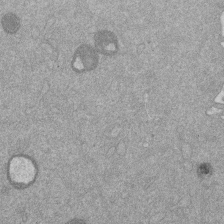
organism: Mouse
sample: Dividing mouse embryo 1 cell stage